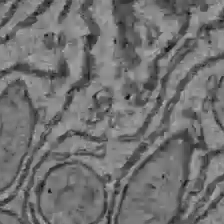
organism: C57BL Mouse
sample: Liver